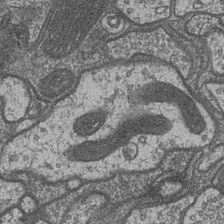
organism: Drosophila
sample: Optic medulla